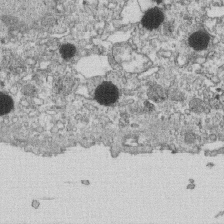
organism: Human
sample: HeLa cell HIV synapse